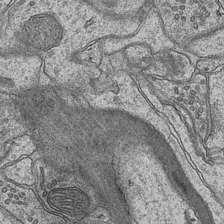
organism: Mouse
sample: CA1 Hippocampus